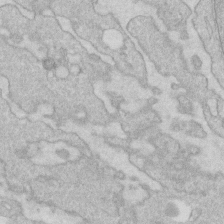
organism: Human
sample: Fibroblast cells